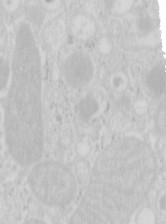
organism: Mouse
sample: Pancreas